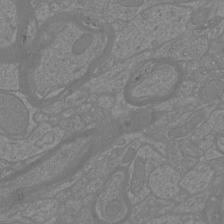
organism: Mouse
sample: Cortical neurons